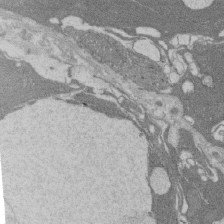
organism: Rat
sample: Salivary granule